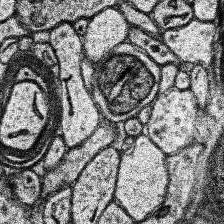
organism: Human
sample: Temporal Lobe